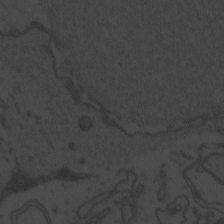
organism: Zebrafish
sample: Macrophage infected with Toxoplasma gondii